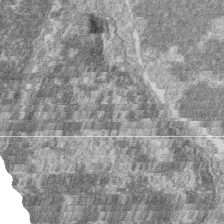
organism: Zebrafish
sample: Cilia; retinal pigment epithelium